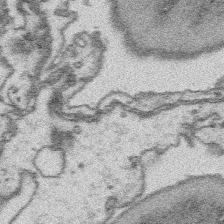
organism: Platynereis dumerilii